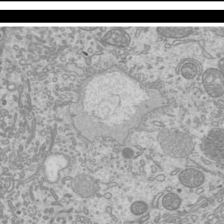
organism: Mouse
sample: Cilia; mouse epididymis